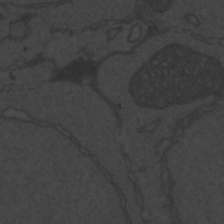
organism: Zebrafish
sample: Macrophage infected with Toxoplasma gondii